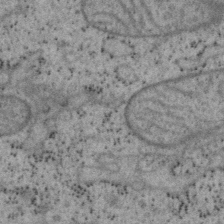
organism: Human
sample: HeLa cells